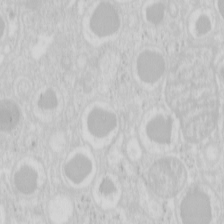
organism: Mouse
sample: Pancreas